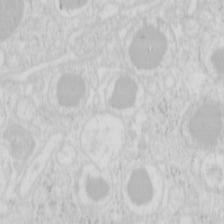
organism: Mouse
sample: Pancreas